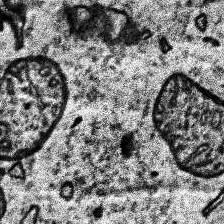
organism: Human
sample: Temporal Lobe